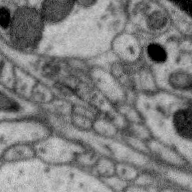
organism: Zebra finch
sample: Brain